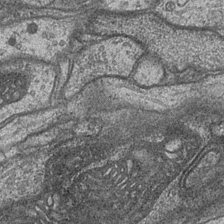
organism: Drosophila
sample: Optic medulla